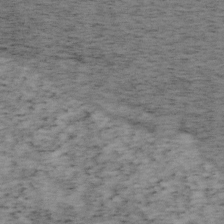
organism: Mouse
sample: OT-I killer T cells with ID8 ovarian cancer cells